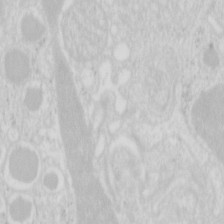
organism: Mouse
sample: Pancreas